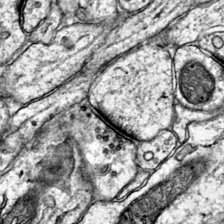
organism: Mouse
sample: Primary visual cortex